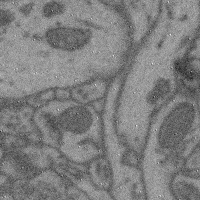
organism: Mouse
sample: Cerebral cortex